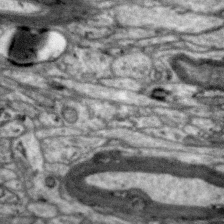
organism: Zebra finch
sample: Brain